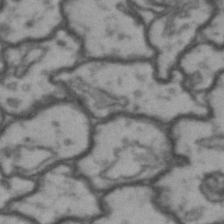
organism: Drosophila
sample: Brain